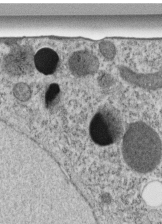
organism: C. elegans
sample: C. elegans embryo early stage